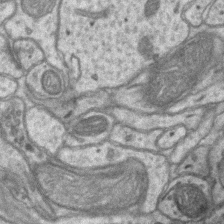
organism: Mouse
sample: CA1 Hippocampus